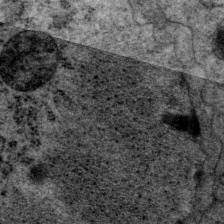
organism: P. pacificus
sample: Pharynx